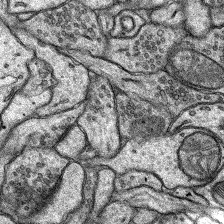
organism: Rat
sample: Hippocampus